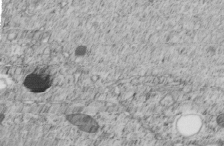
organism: C. elegans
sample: C. elegans embryo early stage